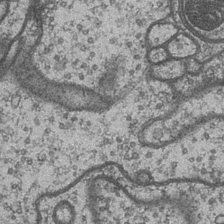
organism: Drosophila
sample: Optic medulla